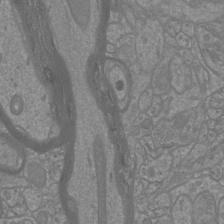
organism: Mouse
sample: Cortical neurons